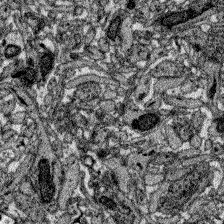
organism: Zebrafish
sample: Larval olfactory bulb